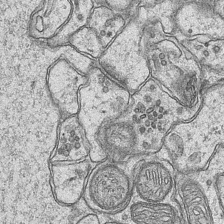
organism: Mouse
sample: CA1 Hippocampus